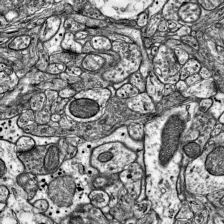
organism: Mouse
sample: Visual Cortex